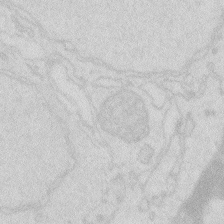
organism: Zebrafish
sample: Macrophage